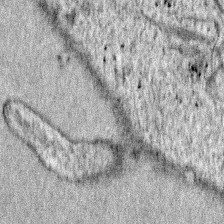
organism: Human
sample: HeLa cells